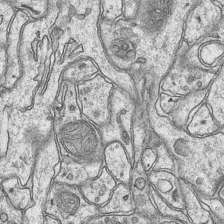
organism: Mouse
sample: CA1 Hippocampus